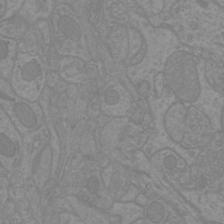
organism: Mouse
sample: Cortical neurons